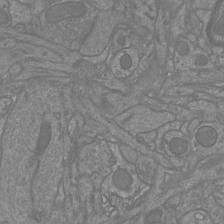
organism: Mouse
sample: Cortical neurons